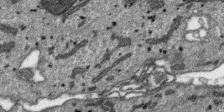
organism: Human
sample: Lung epithelial cells, uninfected (mock) control